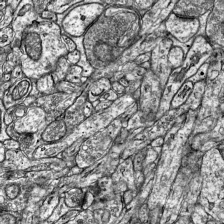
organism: Mouse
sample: Visual Cortex